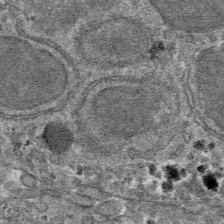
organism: Mouse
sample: Mouse hepatocytes